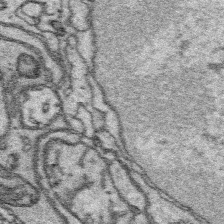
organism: Platynereis dumerilii